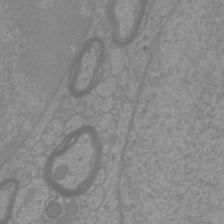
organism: Mouse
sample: Cortical neurons